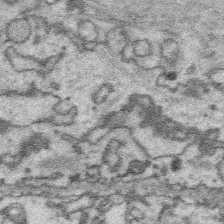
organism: Platynereis dumerilii